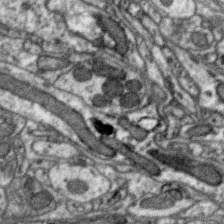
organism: Zebra finch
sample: Brain